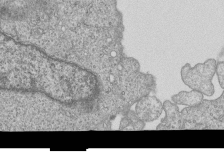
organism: Human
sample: MDA-MB-231 cells